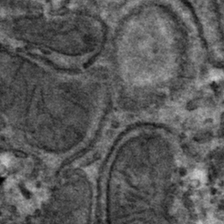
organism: Mouse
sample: Mouse hepatocytes